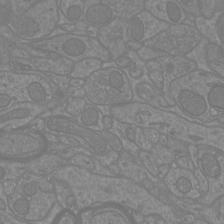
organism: Mouse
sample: Cortical neurons